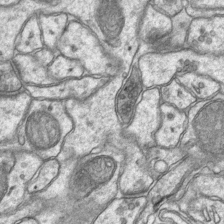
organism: Mouse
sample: CA1 Hippocampus